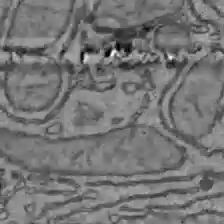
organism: C57BL Mouse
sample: Liver